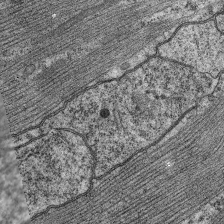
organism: C. elegans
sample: Pharynx